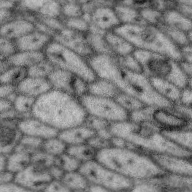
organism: Zebra finch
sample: Brain